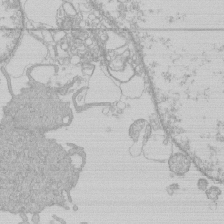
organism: Human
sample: Macrophage cells